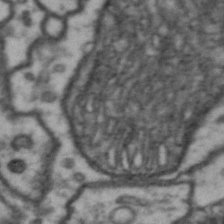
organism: Drosophila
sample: Brain